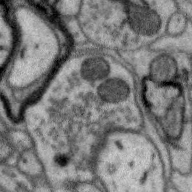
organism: Zebra finch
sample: Brain